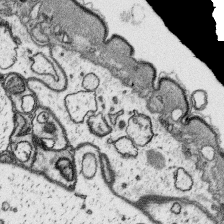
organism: Platynereis dumerilii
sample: Parapodia